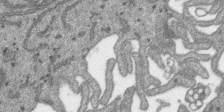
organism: Human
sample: Lung epithelial cells infected with SARS-CoV-2